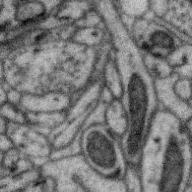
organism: Zebra finch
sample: Brain